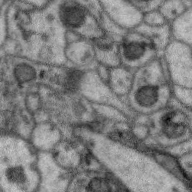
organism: Zebra finch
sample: Brain